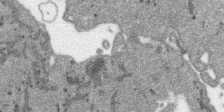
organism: Human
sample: Lung epithelial cells infected with SARS-CoV-2